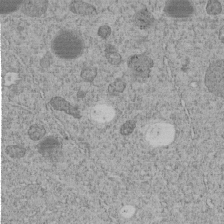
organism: C. elegans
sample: C. elegans embryo early stage